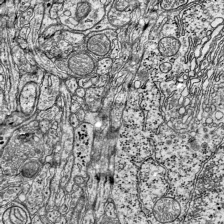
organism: Mouse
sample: Visual Cortex